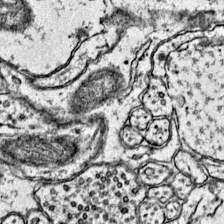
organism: Mouse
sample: Primary visual cortex